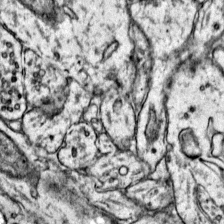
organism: Mouse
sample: Primary visual cortex